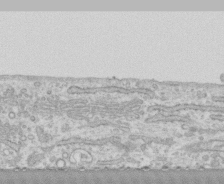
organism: Human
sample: CRL-1474